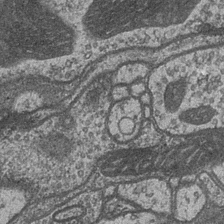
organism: Drosophila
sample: Optic medulla